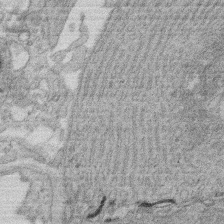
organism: Rat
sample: Salivary granule